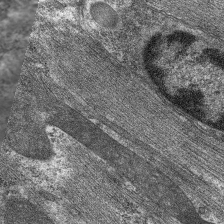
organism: C. elegans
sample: Pharynx